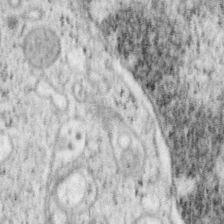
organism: Mouse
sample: OT-I killer T cells with ID8 ovarian cancer cells